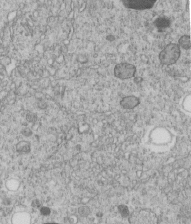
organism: C. elegans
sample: C. elegans embryo early stage